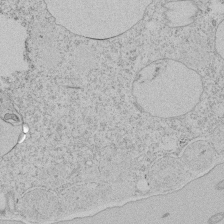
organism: Tetrahymena